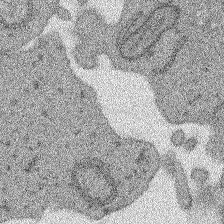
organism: Human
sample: HeLa cells